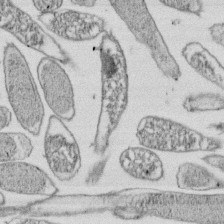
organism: E. coli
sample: Bacterial nucleoid